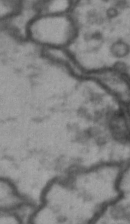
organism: Drosophila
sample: Brain